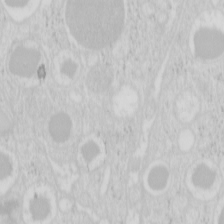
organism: Mouse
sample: Pancreas